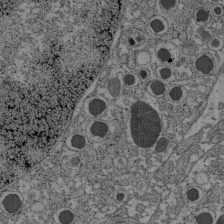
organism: C57BL Mouse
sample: Pancreatic islet